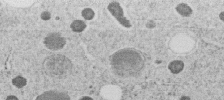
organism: C. elegans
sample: C. elegans embryo early stage